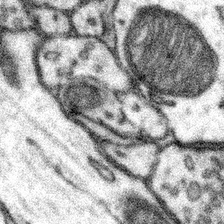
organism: Mouse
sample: Somatosensory cortex neuropil